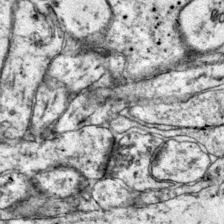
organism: Mouse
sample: Primary visual cortex